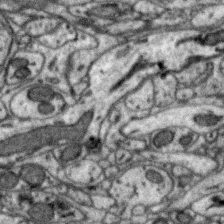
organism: Zebra finch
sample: Brain